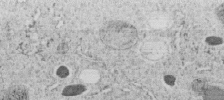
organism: C. elegans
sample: C. elegans embryo early stage